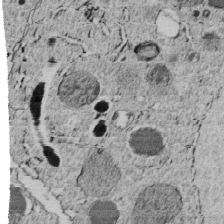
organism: C. elegans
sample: C. elegans embryo early stage